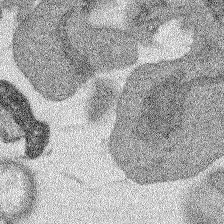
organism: Human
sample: HeLa cells